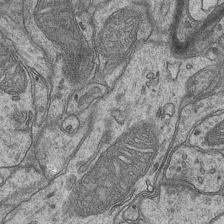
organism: Mouse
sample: CA1 Hippocampus